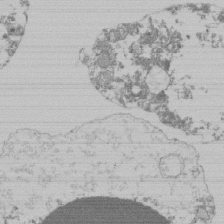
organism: Mouse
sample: Activated Pmel transgenic CD8+ T Cells